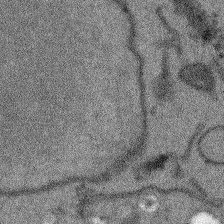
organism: Arabidopsis thaliana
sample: Root tip